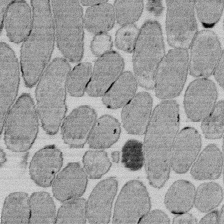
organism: E. coli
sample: Bacterial nucleoid